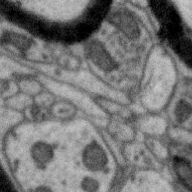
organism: Zebra finch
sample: Brain